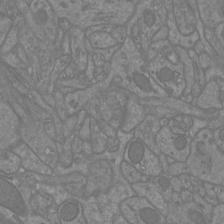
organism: Mouse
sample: Cortical neurons